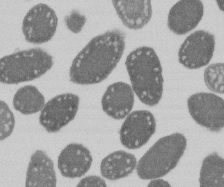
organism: E. coli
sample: Bacterial nucleoid